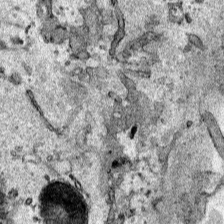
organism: Human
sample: Mitochondria in HCT116 cells